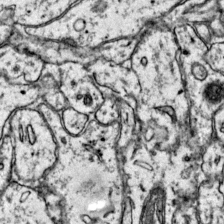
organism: Mouse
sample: Primary visual cortex